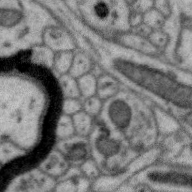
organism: Zebra finch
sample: Brain